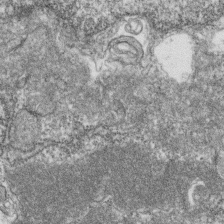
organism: Zebrafish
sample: Cilia; retinal pigment epithelium